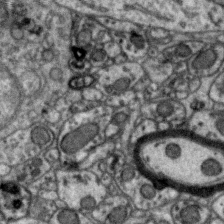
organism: Zebra finch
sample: Brain